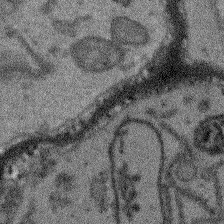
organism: Arabidopsis thaliana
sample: Root tip